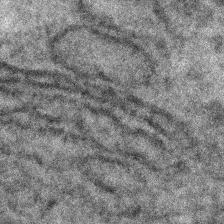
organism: C. elegans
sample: C. elegans embryo